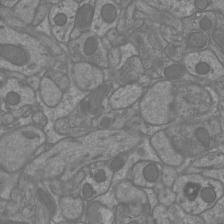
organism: Mouse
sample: Cortical neurons